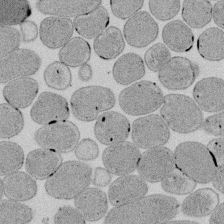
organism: E. coli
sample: Bacterial nucleoid